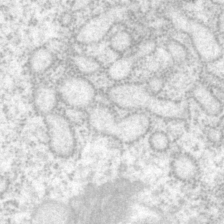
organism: P. pacificus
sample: Pharynx